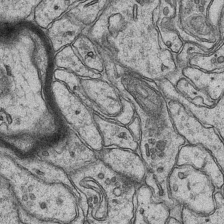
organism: Mouse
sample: CA1 Hippocampus